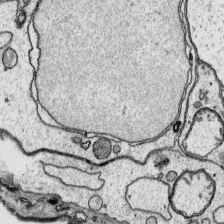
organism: Platynereis dumerilii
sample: Parapodia